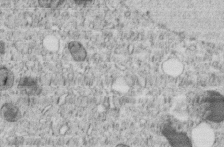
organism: C. elegans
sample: C. elegans embryo early stage